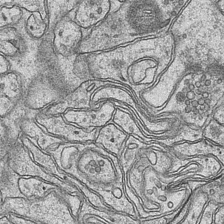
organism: Mouse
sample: CA1 Hippocampus